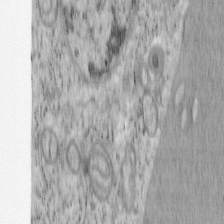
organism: Human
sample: HeLa cells